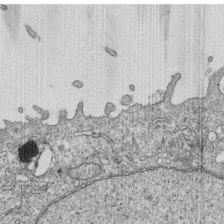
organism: Human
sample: HeLa cell HIV synapse